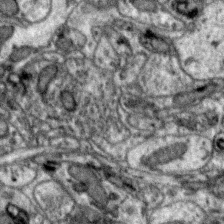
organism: Zebra finch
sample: Brain